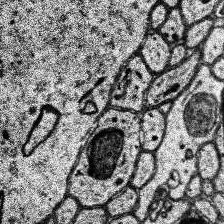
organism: Human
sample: Temporal Lobe